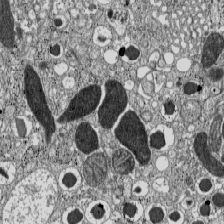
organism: C57BL Mouse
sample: Pancreatic islet